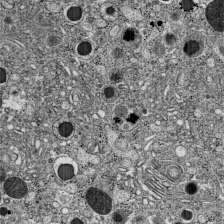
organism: C57BL Mouse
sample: Pancreatic islet